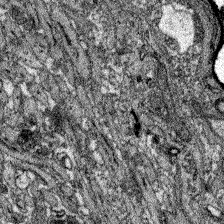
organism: Zebrafish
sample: Larval olfactory bulb